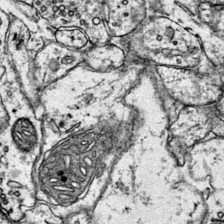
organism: Mouse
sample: Primary visual cortex